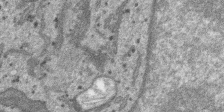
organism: Human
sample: Lung epithelial cells infected with SARS-CoV-2